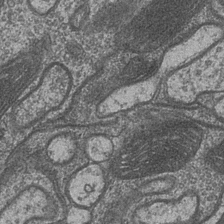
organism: Drosophila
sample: Optic medulla